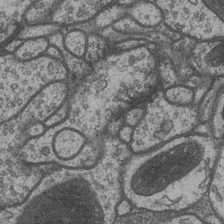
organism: Drosophila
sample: Optic medulla